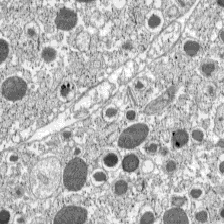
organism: C57BL Mouse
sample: Pancreatic islet